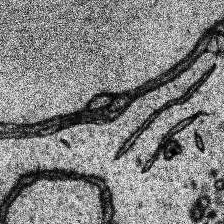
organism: Human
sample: Temporal Lobe